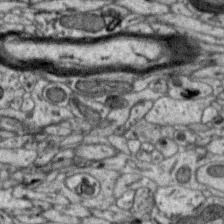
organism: Zebra finch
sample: Brain